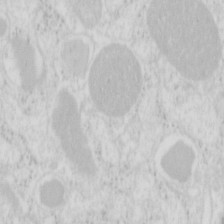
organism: Mouse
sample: Pancreas